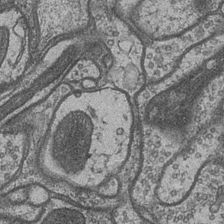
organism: Drosophila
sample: Optic medulla